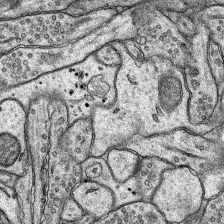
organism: Rat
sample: Hippocampus